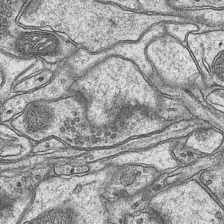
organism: Mouse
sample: CA1 Hippocampus